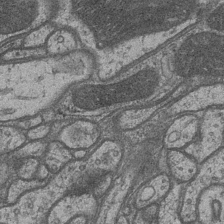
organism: Drosophila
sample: Optic medulla